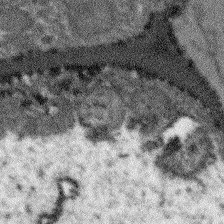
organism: Arabidopsis thaliana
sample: Root tip